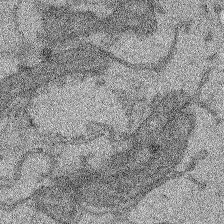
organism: Human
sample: HeLa cells